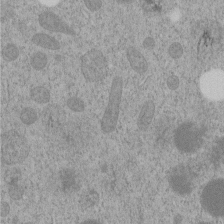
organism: C. elegans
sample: C. elegans embryo early stage